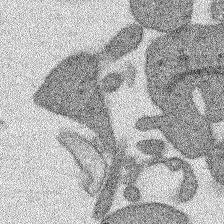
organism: Human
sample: HeLa cells